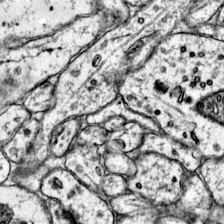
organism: Mouse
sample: Primary visual cortex